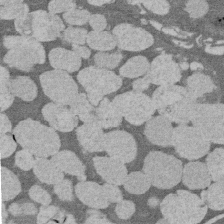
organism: Rat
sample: Salivary granule